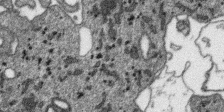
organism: Human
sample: Lung epithelial cells infected with SARS-CoV-2